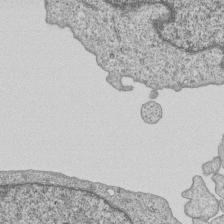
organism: Human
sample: MDA-MB-231 cells